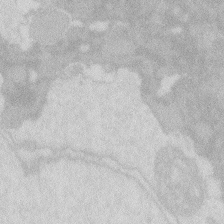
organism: Zebrafish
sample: Macrophage